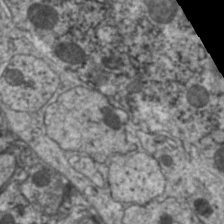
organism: C. elegans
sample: Pharynx